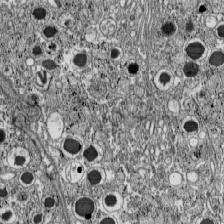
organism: C57BL Mouse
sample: Pancreatic islet